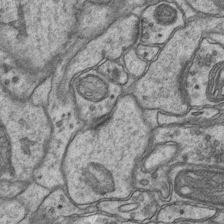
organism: Mouse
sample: CA1 Hippocampus